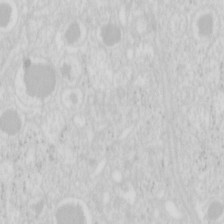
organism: Mouse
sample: Pancreas